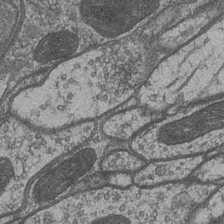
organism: Drosophila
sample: Optic medulla